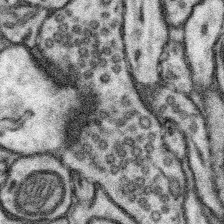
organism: Mouse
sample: Somatosensory cortex neuropil